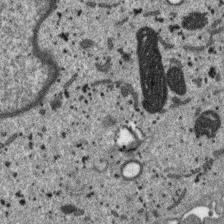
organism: Human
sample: Lung epithelial cells infected with SARS-CoV-2